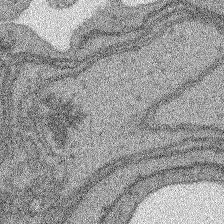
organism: Human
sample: HeLa cells